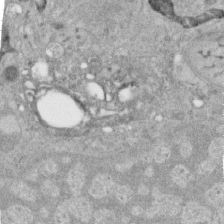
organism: Human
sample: Centriole in RPE cells